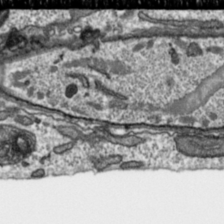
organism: Toxoplasma gondii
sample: Parasites in a vacuole inside a host cell